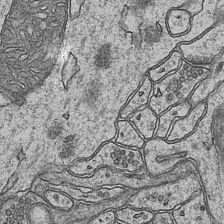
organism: Mouse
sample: CA1 Hippocampus